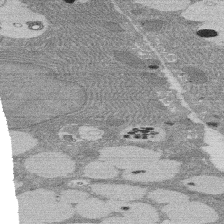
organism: Rat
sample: Salivary granule